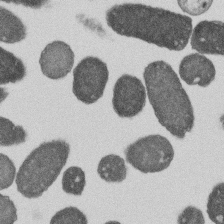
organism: E. coli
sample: Bacterial nucleoid